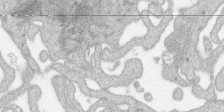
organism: Human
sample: Lung epithelial cells infected with SARS-CoV-2